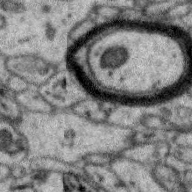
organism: Zebra finch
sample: Brain